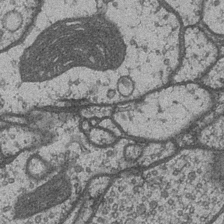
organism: Drosophila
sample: Optic medulla